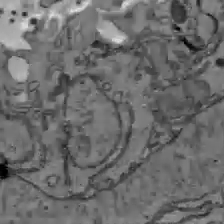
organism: C57BL Mouse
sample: Liver